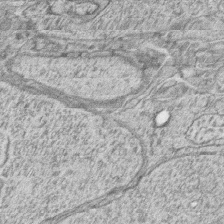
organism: Zebrafish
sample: synaptic ribbons in rod cells and cone cells